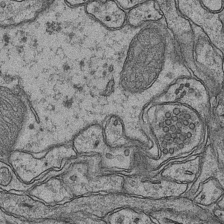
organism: Mouse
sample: CA1 Hippocampus